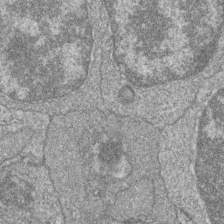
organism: Zebrafish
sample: Cilia; retinal pigment epithelium